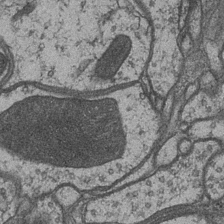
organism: Drosophila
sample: Optic medulla